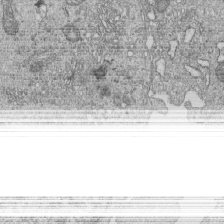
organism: Human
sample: MDA-MB-231 cells